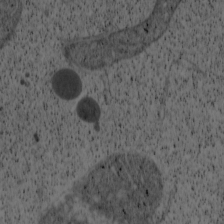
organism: African green monkey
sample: COS-7 cells